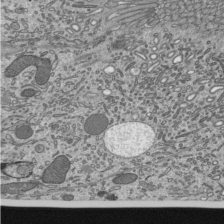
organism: Mouse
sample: Mouse epididymis efferent ductule cilia